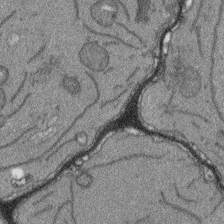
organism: Arabidopsis thaliana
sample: Root tip